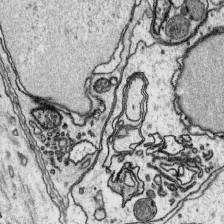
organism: Platynereis dumerilii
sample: Parapodia